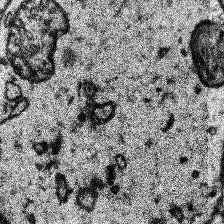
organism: Human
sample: Temporal Lobe